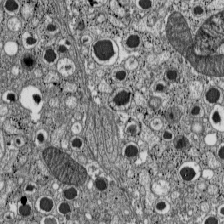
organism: C57BL Mouse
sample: Pancreatic islet